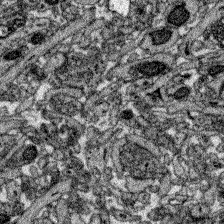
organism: Zebrafish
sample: Larval olfactory bulb